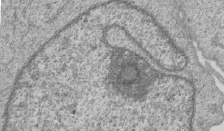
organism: Human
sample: MDA-MB-231 cells